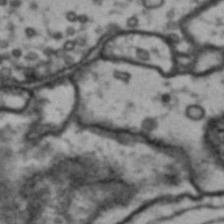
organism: Drosophila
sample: Brain